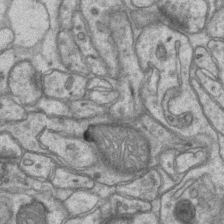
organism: Mouse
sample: CA1 Hippocampus